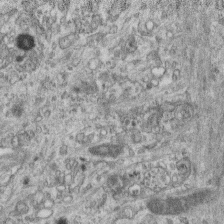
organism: Mouse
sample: Centriole in ependymal cells